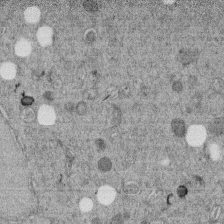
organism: C. elegans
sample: C. elegans embryo early stage